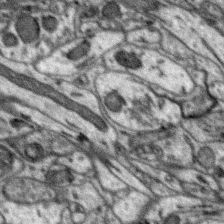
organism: Zebra finch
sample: Brain